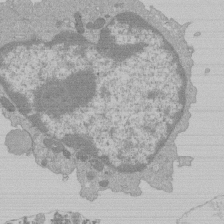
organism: Mouse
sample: Activated Pmel transgenic CD8+ T Cells